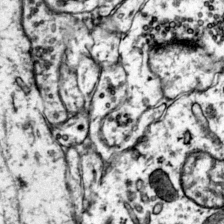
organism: Mouse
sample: Primary visual cortex